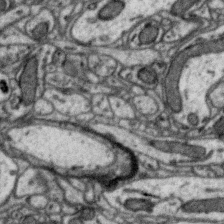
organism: Zebra finch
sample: Brain